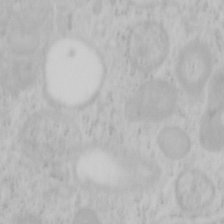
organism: Mouse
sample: OT-I killer T cells with ID8 ovarian cancer cells